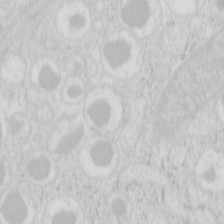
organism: Mouse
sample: Pancreas